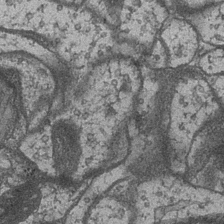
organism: Drosophila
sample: Optic medulla